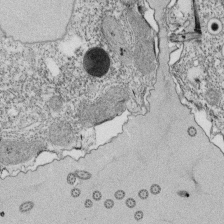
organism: Tetrahymena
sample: Cilia in tetrahymena